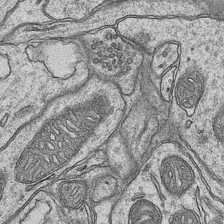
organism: Mouse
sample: CA1 Hippocampus